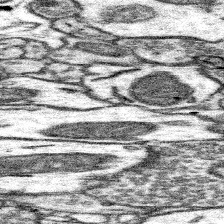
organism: Mouse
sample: Somatosensory cortex neuropil